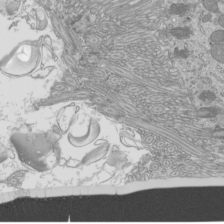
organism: Mouse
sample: Cilia; mouse epididymis